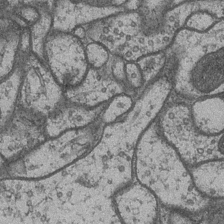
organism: Drosophila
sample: Optic medulla